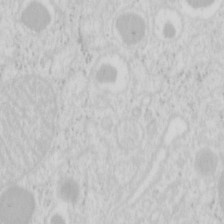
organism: Mouse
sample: Pancreas